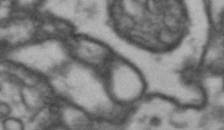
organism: Drosophila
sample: Brain